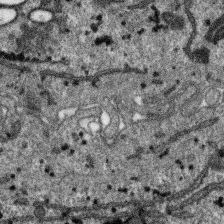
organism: Human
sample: Lung epithelial cells infected with SARS-CoV-2